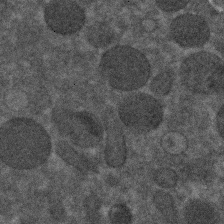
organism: C. elegans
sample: C. elegans embryo